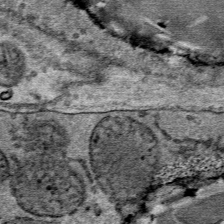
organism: Mouse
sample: Mouse Salivary gland